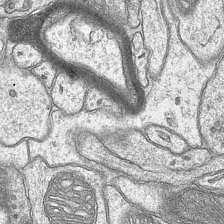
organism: Mouse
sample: CA1 Hippocampus